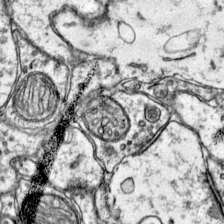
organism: Mouse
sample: Primary visual cortex